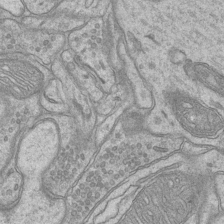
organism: Mouse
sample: CA1 Hippocampus